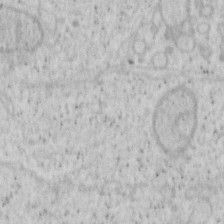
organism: Human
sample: HeLa cells